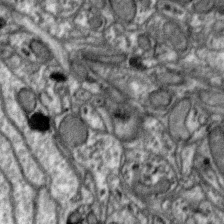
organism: Zebra finch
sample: Brain